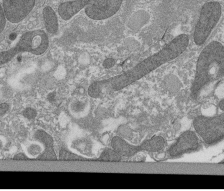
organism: Tetrahymena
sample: Cilia in tetrahymena